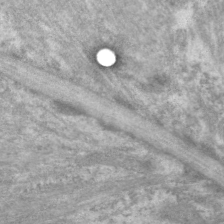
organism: C. elegans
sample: Pharynx